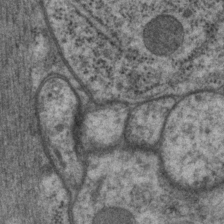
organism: P. pacificus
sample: Pharynx